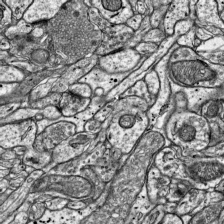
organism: Mouse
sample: Visual Cortex